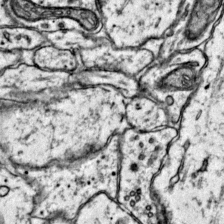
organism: Mouse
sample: Primary visual cortex